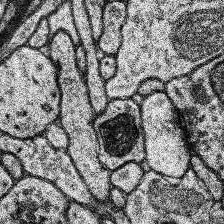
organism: Human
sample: Temporal Lobe